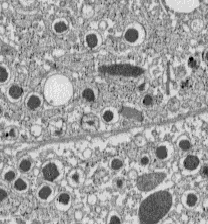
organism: C57BL Mouse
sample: Pancreatic islet